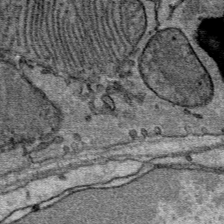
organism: Mouse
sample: Mouse Salivary gland